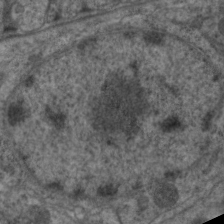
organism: C. elegans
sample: Pharynx